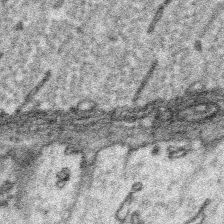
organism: Platynereis dumerilii